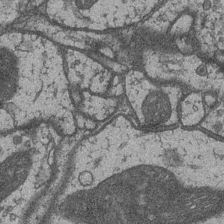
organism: Drosophila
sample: Optic medulla